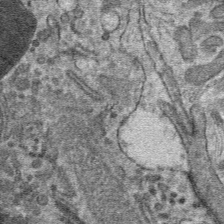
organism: Mouse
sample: Mouse hepatocytes